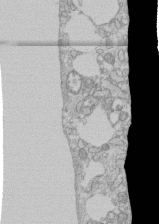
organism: Human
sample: CRL-1474